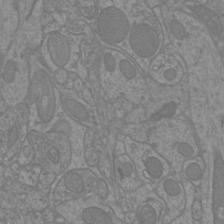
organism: Mouse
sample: Cortical neurons